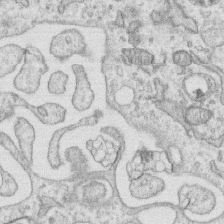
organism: Human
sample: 1205lu cells